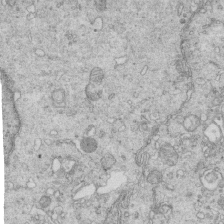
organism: Mouse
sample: Multiciliated cells